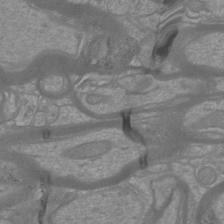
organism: Mouse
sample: Cortical neurons